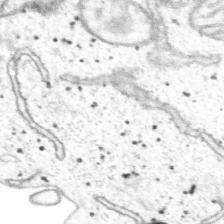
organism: Human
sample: HeLa cells